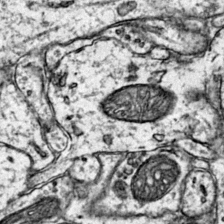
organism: Mouse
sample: Primary visual cortex